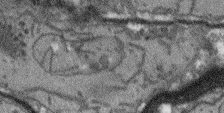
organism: Arabidopsis thaliana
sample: Root tip